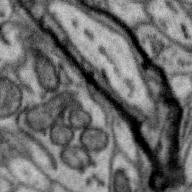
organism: Zebra finch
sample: Brain